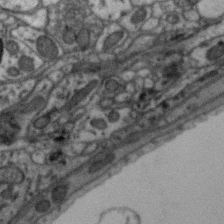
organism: Zebra finch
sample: Brain